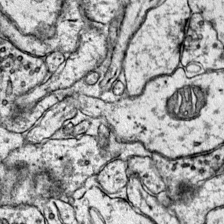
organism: Mouse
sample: Primary visual cortex